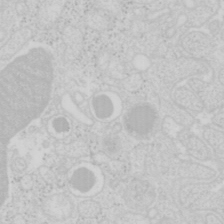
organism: Mouse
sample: Pancreas